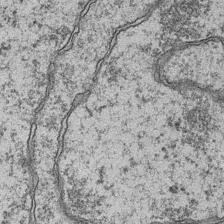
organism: Mouse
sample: CA1 Hippocampus